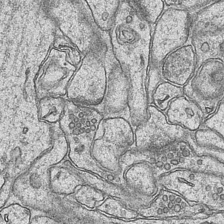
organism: Mouse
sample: CA1 Hippocampus